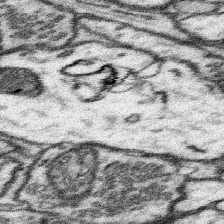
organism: Mouse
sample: Somatosensory cortex neuropil